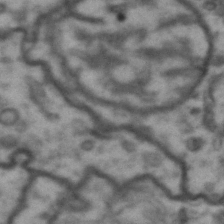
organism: Drosophila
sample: Brain